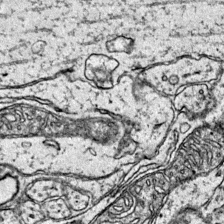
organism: Mouse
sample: Primary visual cortex